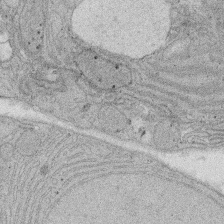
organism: Rat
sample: Salivary granule